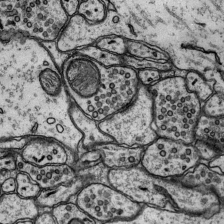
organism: Rat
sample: Hippocampus